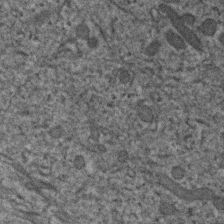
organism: Human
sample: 1205lu cells